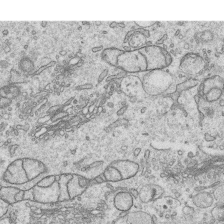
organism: Human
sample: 1205lu cells